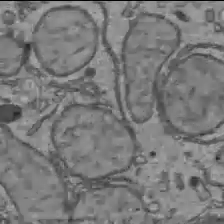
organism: C57BL Mouse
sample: Liver